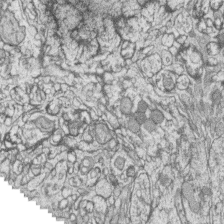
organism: Zebrafish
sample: synaptic ribbons in rod cells and cone cells